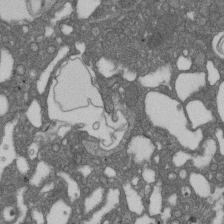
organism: Drosophila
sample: Nephrocyte